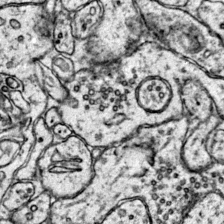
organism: Mouse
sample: Primary visual cortex